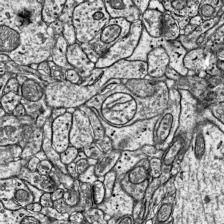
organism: Mouse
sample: Visual Cortex